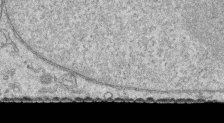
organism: Human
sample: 1205lu cells